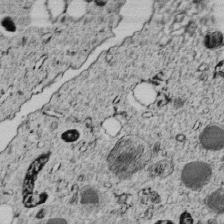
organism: C. elegans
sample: C. elegans embryo early stage